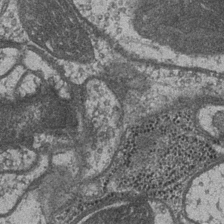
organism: Drosophila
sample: Optic medulla